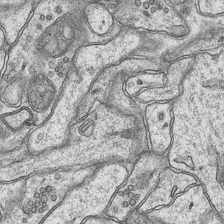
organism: Mouse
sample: CA1 Hippocampus